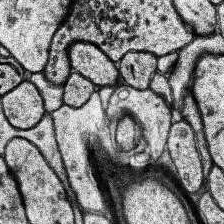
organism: Human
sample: Temporal Lobe